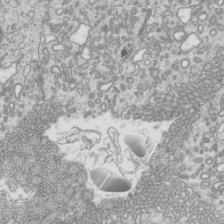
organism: Mouse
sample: Cilia; mouse epididymis